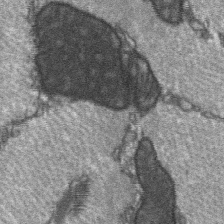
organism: C57BL Mouse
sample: Soleus